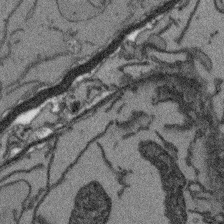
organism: Arabidopsis thaliana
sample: Root tip